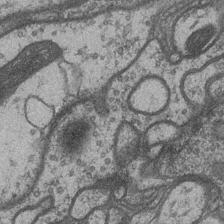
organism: Drosophila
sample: Optic medulla